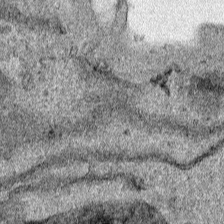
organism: Human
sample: Mitochondria in HCT116 cells